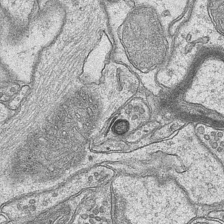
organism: Mouse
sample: CA1 Hippocampus